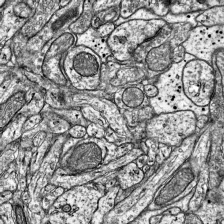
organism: Mouse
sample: Visual Cortex